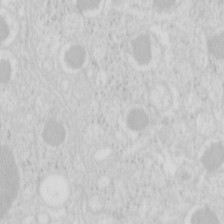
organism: Mouse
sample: Pancreas